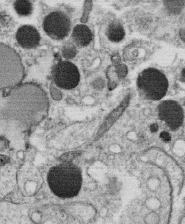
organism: C. elegans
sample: C. elegans oocyte; sperm cells